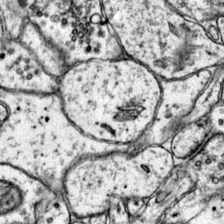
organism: Mouse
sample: Primary visual cortex